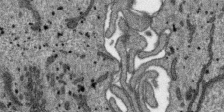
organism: Human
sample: Lung epithelial cells, uninfected (mock) control